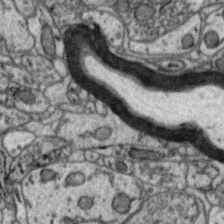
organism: Zebra finch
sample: Brain